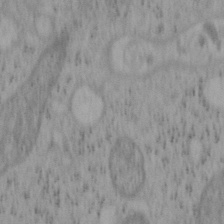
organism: Mouse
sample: OT-I killer T cells with ID8 ovarian cancer cells